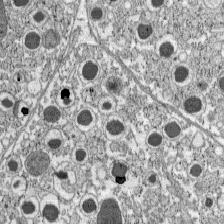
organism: C57BL Mouse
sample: Pancreatic islet